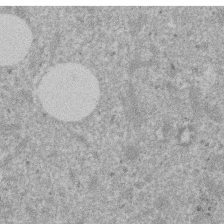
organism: Mouse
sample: Dividing mouse embryo 1 cell stage